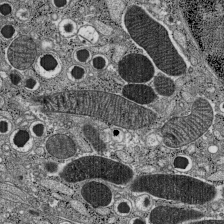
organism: C57BL Mouse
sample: Pancreatic islet